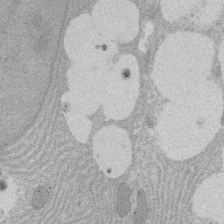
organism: Rat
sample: Salivary granule